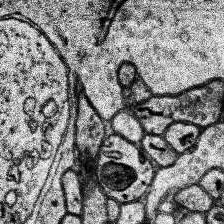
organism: Human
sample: Temporal Lobe